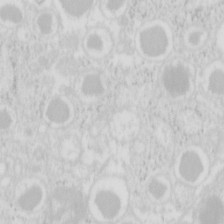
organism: Mouse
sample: Pancreas